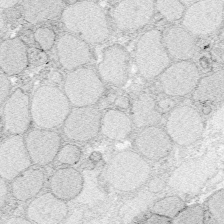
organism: Zebrafish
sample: Whole-Brain